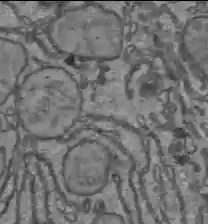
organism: C57BL Mouse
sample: Liver